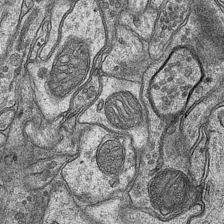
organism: Mouse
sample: CA1 Hippocampus